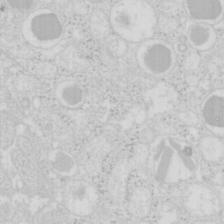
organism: Mouse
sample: Pancreas